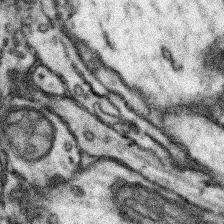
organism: Mouse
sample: Somatosensory cortex neuropil